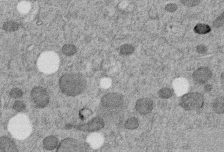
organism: C. elegans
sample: C. elegans embryo early stage